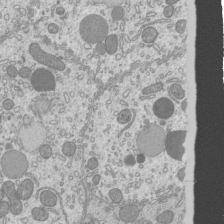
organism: Mouse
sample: Cilia; mouse epididymis